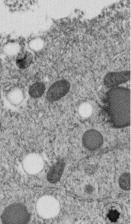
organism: C. elegans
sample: C. elegans embryo early stage